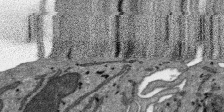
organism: Human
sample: Lung epithelial cells, uninfected (mock) control